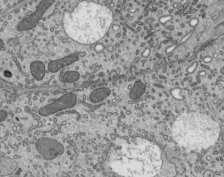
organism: Mouse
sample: Mouse epididymis efferent ductule cilia